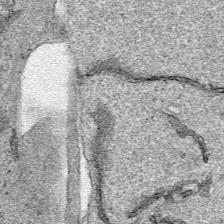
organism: Human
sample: Mitochondria in HCT116 cells